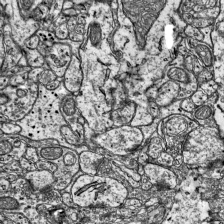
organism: Mouse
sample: Visual Cortex